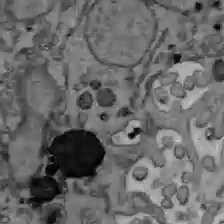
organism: C57BL Mouse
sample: Liver